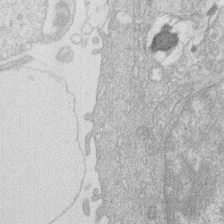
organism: Human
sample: Macrophage cells